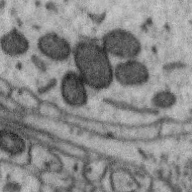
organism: Zebra finch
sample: Brain